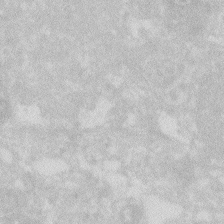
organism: Zebrafish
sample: Macrophage